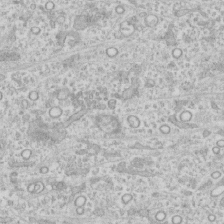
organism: Human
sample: CRL-1474